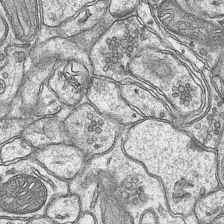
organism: Mouse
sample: CA1 Hippocampus